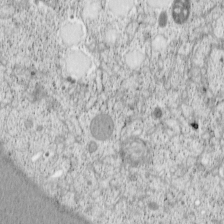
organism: African green monkey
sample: COS-7 cells